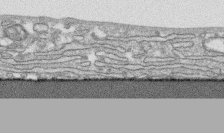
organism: Human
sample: CRL-1474